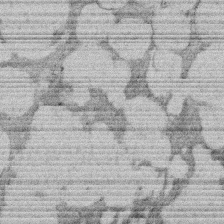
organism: Rat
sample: Salivary granule